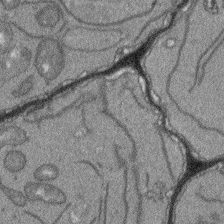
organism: Arabidopsis thaliana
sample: Root tip